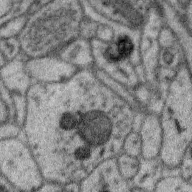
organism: Zebra finch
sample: Brain